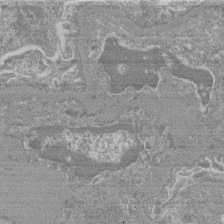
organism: Mouse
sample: Glomerulus